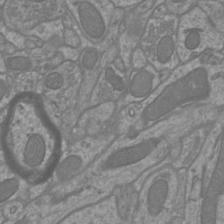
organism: Mouse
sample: Cortical neurons